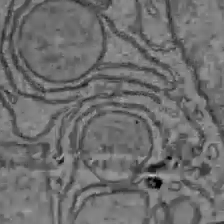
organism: C57BL Mouse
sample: Liver